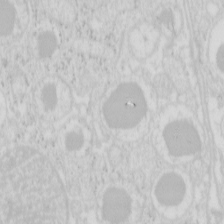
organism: Mouse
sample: Pancreas